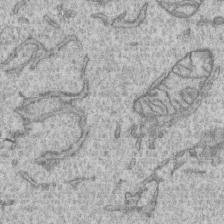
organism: Human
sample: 1205lu cells